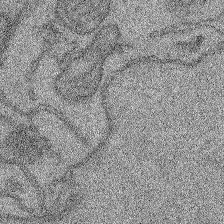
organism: Human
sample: HeLa cells